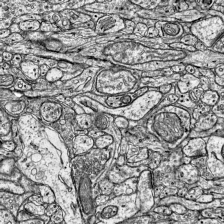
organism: Mouse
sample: Visual Cortex